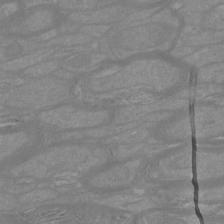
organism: Mouse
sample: Cortical neurons